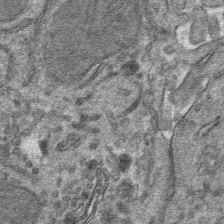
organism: Mouse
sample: Mouse hepatocytes